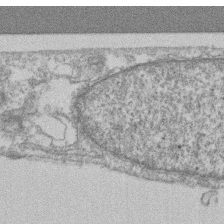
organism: Mouse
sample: T cell stromal cell synapse